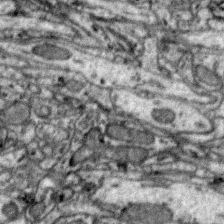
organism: Zebra finch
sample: Brain